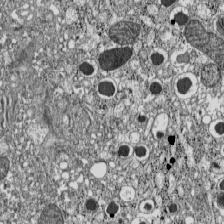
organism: C57BL Mouse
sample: Pancreatic islet